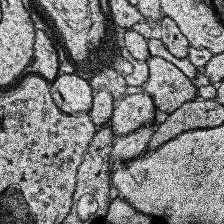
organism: Human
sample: Temporal Lobe